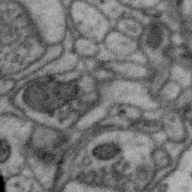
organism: Zebra finch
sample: Brain